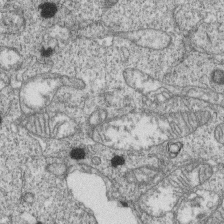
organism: Human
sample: HeLa cell HIV synapse